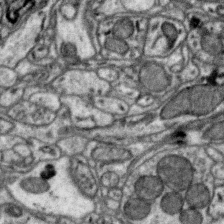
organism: Zebra finch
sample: Brain